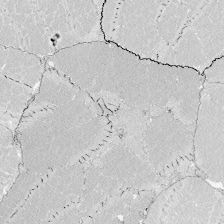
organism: Zebrafish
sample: Whole-Brain